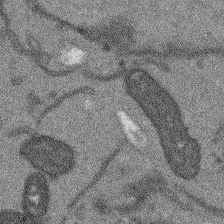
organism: Arabidopsis thaliana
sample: Root tip